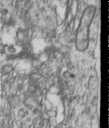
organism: Human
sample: Centriole in RPE cells